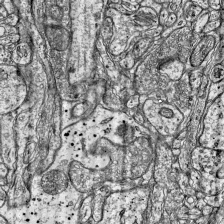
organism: Mouse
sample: Visual Cortex